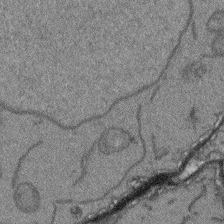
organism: Arabidopsis thaliana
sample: Root tip